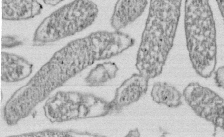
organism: E. coli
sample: Bacterial nucleoid